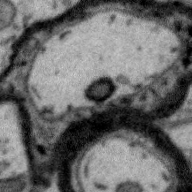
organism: Zebra finch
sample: Brain